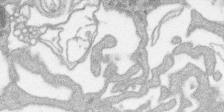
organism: Human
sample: Lung epithelial cells infected with SARS-CoV-2